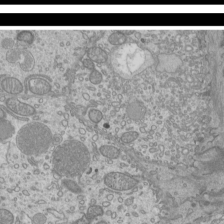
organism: Mouse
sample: Cilia; mouse epididymis